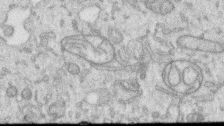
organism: Human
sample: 1205lu cells